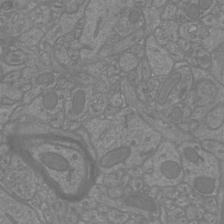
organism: Mouse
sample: Cortical neurons